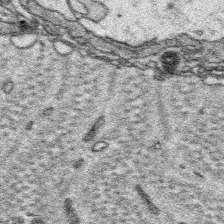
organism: Platynereis dumerilii